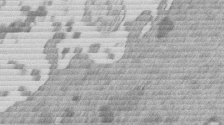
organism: Mouse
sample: Dividing mouse embryo 1 cell stage